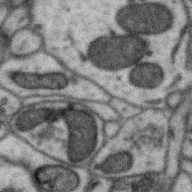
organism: Zebra finch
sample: Brain